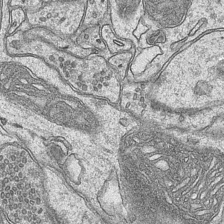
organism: Mouse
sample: CA1 Hippocampus